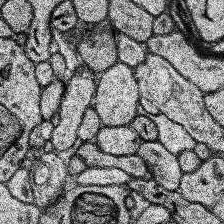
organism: Human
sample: Temporal Lobe